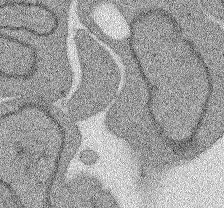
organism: Human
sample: HeLa cells